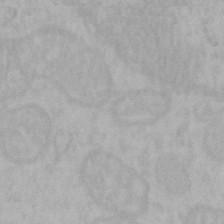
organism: Mouse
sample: Choroid plexus